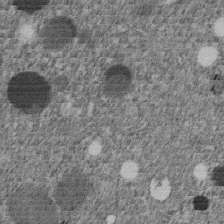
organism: C. elegans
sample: C. elegans embryo early stage